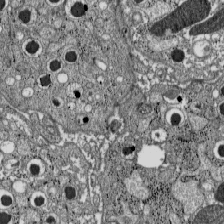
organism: C57BL Mouse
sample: Pancreatic islet